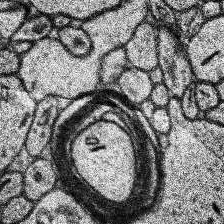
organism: Human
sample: Temporal Lobe